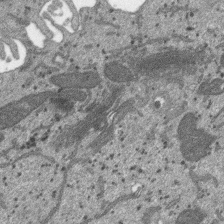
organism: Human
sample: Lung epithelial cells infected with SARS-CoV-2